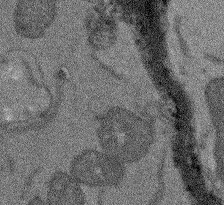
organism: Arabidopsis thaliana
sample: Root tip